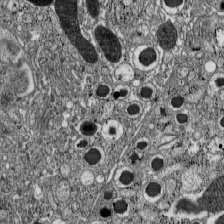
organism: C57BL Mouse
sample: Pancreatic islet